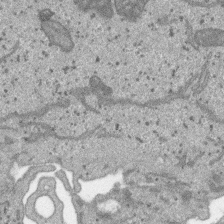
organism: Human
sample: Lung epithelial cells infected with SARS-CoV-2